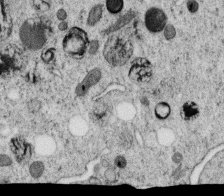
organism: C. elegans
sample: C. elegans oocyte; sperm cells